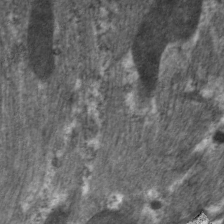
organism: C. elegans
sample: Pharynx